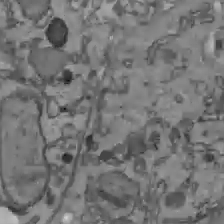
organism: C57BL Mouse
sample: Liver